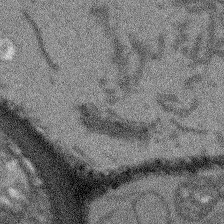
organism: Arabidopsis thaliana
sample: Root tip